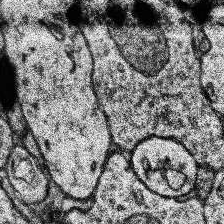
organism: Human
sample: Temporal Lobe